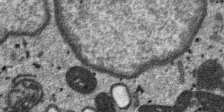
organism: Human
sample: Lung epithelial cells infected with SARS-CoV-2